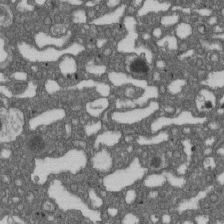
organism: Drosophila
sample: Nephrocyte